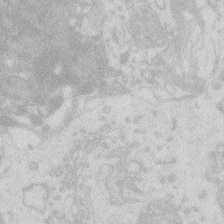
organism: Zebrafish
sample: Macrophage